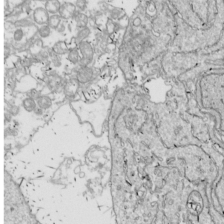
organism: Drosophila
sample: Cell division; meiosis; drosophila spermatocytes